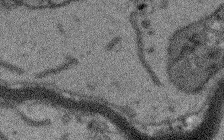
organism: Arabidopsis thaliana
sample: Root tip